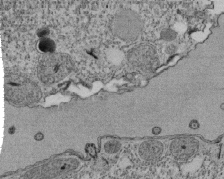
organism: Tetrahymena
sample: Cilia in tetrahymena